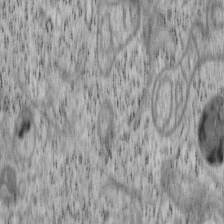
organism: Human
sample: HeLa cells